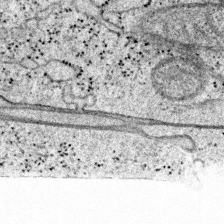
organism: Human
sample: HeLa cells